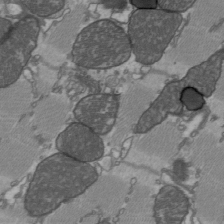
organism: C57BL Mouse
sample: Heart